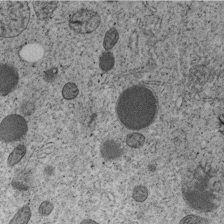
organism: C. elegans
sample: C. elegans embryo early stage